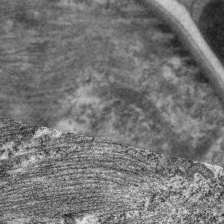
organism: C. elegans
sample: Pharynx